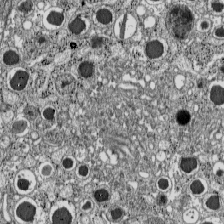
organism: C57BL Mouse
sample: Pancreatic islet